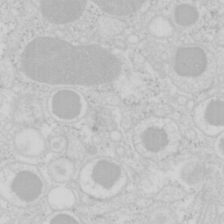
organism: Mouse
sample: Pancreas